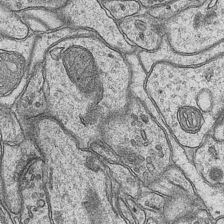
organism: Mouse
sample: CA1 Hippocampus